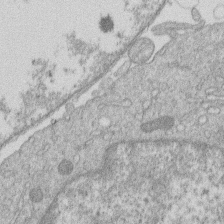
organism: Human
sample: Macrophage cells